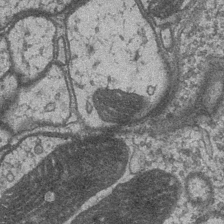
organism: Drosophila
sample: Optic medulla